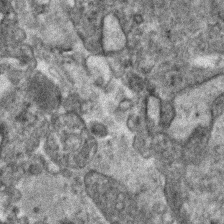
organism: Human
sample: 1205lu cells